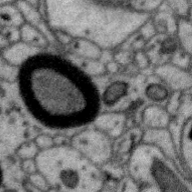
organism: Zebra finch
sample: Brain